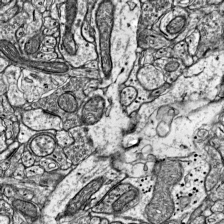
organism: Mouse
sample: Visual Cortex